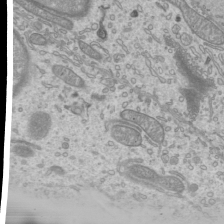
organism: Mouse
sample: Cilia; mouse epididymis